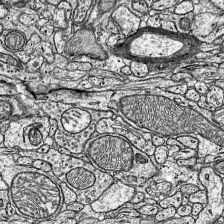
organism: Mouse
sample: Visual Cortex